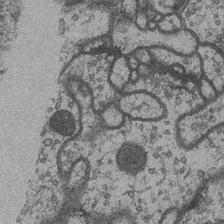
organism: Drosophila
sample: Optic medulla